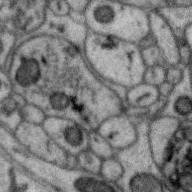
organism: Zebra finch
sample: Brain